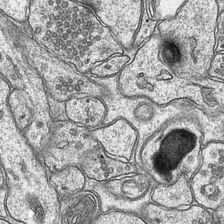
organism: Mouse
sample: CA1 Hippocampus